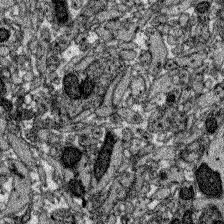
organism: Zebrafish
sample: Larval olfactory bulb